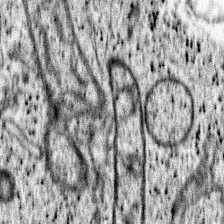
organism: Human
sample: HeLa cells